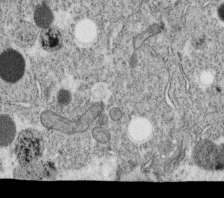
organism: C. elegans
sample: C. elegans oocyte; sperm cells